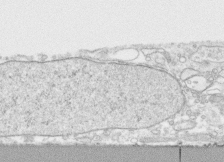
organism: Human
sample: CRL-1474